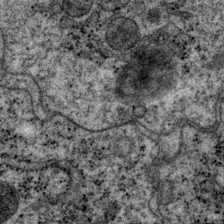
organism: P. pacificus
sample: Pharynx